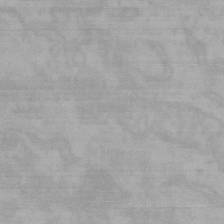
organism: Mouse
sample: Choroid plexus